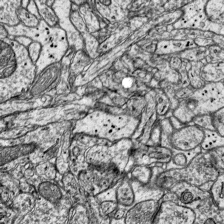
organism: Mouse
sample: Visual Cortex